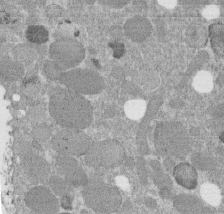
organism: C. elegans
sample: C. elegans embryo early stage